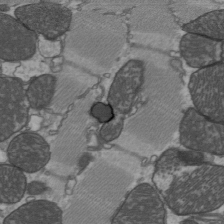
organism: C57BL Mouse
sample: Heart